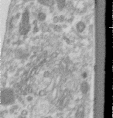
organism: Human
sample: Centriole in RPE cells